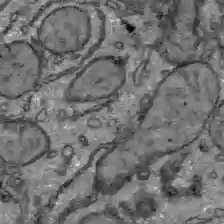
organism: C57BL Mouse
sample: Liver